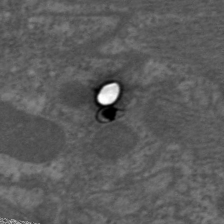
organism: C. elegans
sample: Pharynx